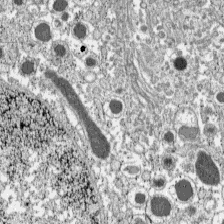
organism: C57BL Mouse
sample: Pancreatic islet